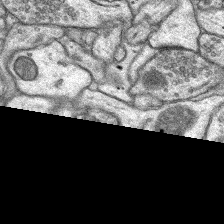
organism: Rat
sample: Hippocampus